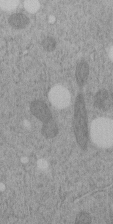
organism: C. elegans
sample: C. elegans embryo early stage